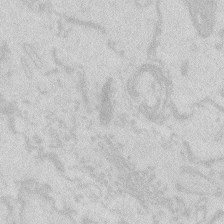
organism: Zebrafish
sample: Macrophage